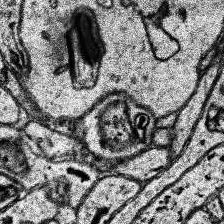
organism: Human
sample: Temporal Lobe